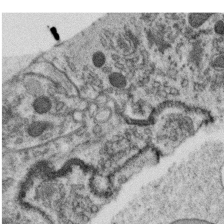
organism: C. elegans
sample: C. elegans oocyte; sperm cells